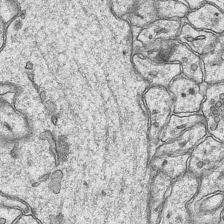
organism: Mouse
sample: CA1 Hippocampus